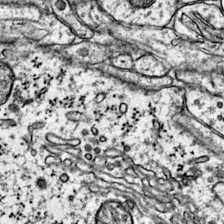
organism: Mouse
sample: Primary visual cortex